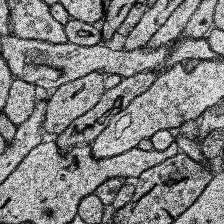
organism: Human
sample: Temporal Lobe